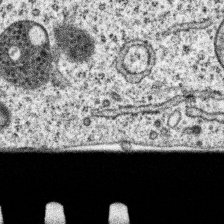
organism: Human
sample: HeLa cells